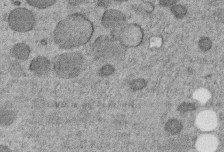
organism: C. elegans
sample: C. elegans embryo early stage